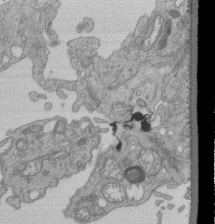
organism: Human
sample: Retinal organoid Rod and Cone cells